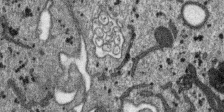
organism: Human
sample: Lung epithelial cells infected with SARS-CoV-2